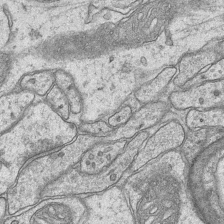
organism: Mouse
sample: CA1 Hippocampus